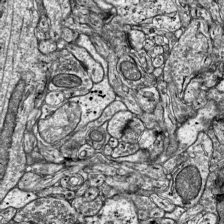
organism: Mouse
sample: Visual Cortex